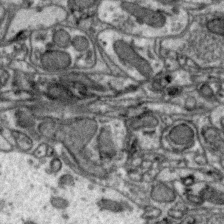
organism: Zebra finch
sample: Brain